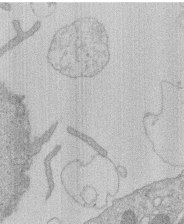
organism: Human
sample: Macrophage cells